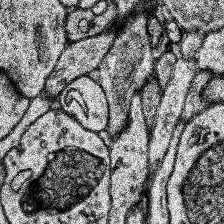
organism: Human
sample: Temporal Lobe